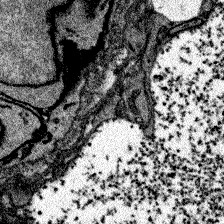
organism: Zebrafish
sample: Larval olfactory bulb